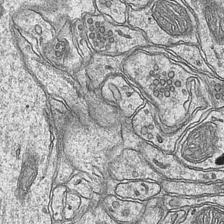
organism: Mouse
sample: CA1 Hippocampus